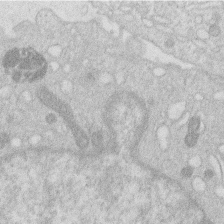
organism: Human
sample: Macrophage cells